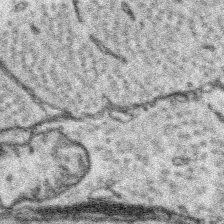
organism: Platynereis dumerilii